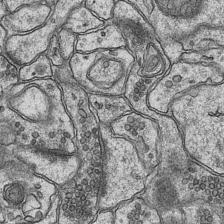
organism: Mouse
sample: CA1 Hippocampus